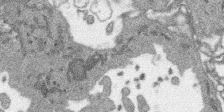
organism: Human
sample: Lung epithelial cells infected with SARS-CoV-2